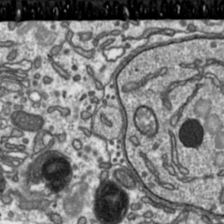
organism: Toxoplasma gondii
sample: Parasites in a vacuole inside a host cell